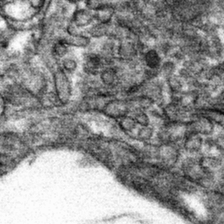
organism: Mouse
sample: Mouse hepatocytes